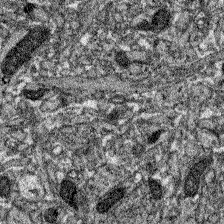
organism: Zebrafish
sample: Larval olfactory bulb